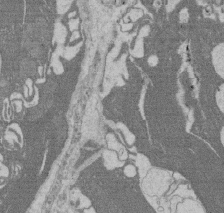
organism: Rat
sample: Salivary granule